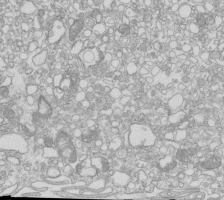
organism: Mouse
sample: Macrophages